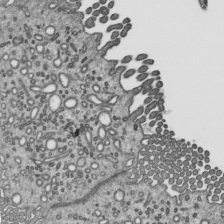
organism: Mouse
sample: Mouse epididymis efferent ductule cilia